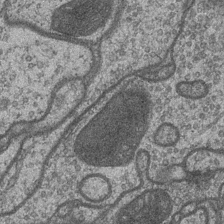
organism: Drosophila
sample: Optic medulla